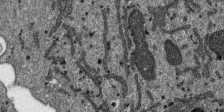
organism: Human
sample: Lung epithelial cells infected with SARS-CoV-2